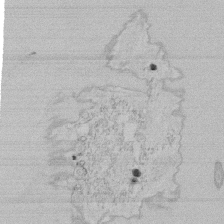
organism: Tetrahymena